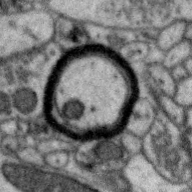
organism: Zebra finch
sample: Brain